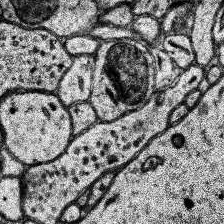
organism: Human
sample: Temporal Lobe